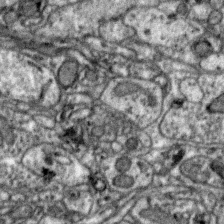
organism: Zebra finch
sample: Brain